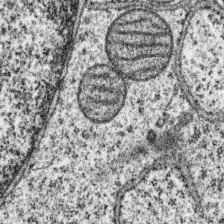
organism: Human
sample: HeLa cells